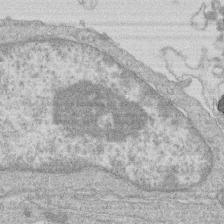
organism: Human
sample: Macrophage cells